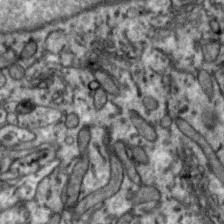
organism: Zebra finch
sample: Brain